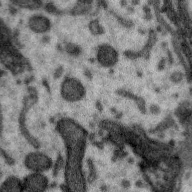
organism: Zebra finch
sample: Brain